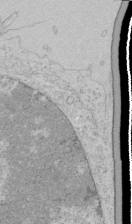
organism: Human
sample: Mitochondria in HCT116 cells